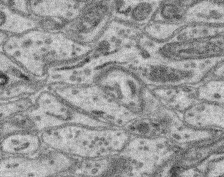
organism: Mouse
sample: Retina